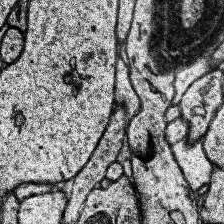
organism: Human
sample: Temporal Lobe